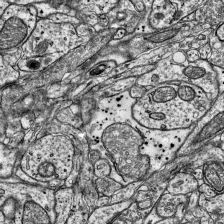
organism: Mouse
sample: Visual Cortex